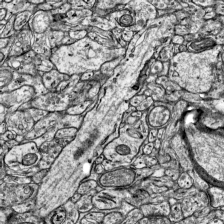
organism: Mouse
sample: Visual Cortex